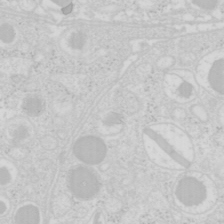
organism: Mouse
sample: Pancreas